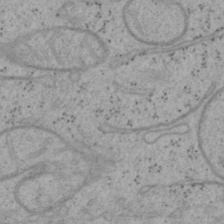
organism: Human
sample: HeLa cells